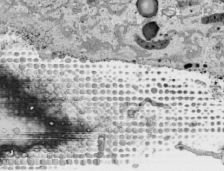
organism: Human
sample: Mitochondria in HCT116 cells